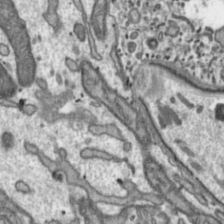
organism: Toxoplasma gondii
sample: Parasites in a vacuole inside a host cell